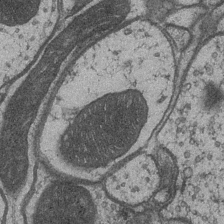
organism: Drosophila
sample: Optic medulla